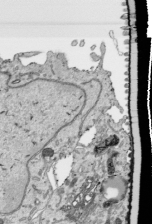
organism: Human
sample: Mitochondria in HCT116 cells